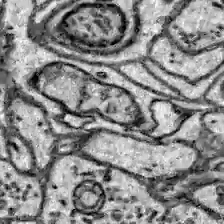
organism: Zebrafish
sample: Brain